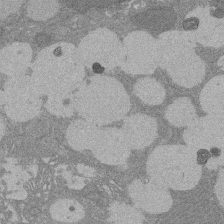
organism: Rat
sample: Salivary granule